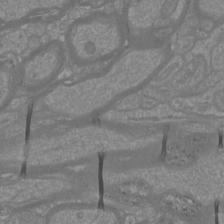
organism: Mouse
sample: Cortical neurons